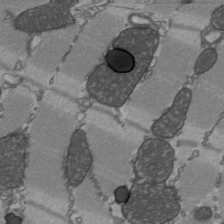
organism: C57BL Mouse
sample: Heart